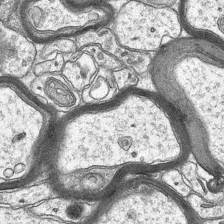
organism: Mouse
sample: CA1 Hippocampus